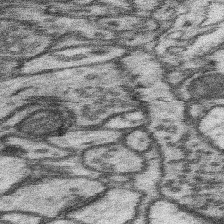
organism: Mouse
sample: Somatosensory cortex neuropil